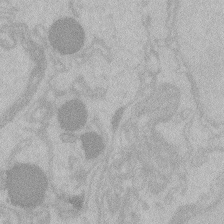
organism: Zebrafish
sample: Macrophage infected with Toxoplasma gondii